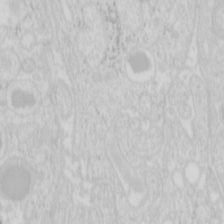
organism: Mouse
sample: Pancreas